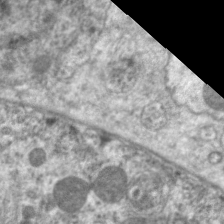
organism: C. elegans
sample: Pharynx